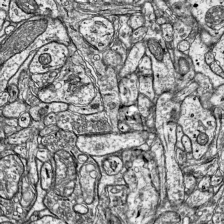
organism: Mouse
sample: Visual Cortex